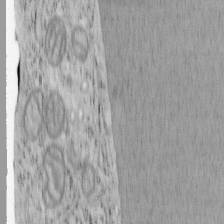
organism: Human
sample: HeLa cells